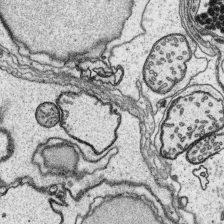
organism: Platynereis dumerilii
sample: Parapodia